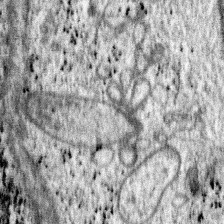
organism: Human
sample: HeLa cells